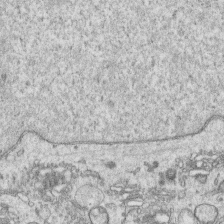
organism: Human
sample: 1205lu cells